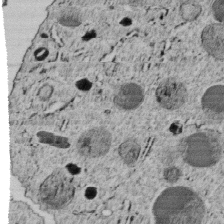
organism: C. elegans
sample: C. elegans embryo early stage